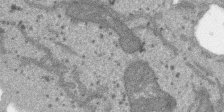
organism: Human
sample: Lung epithelial cells infected with SARS-CoV-2